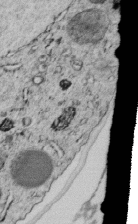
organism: C. elegans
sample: C. elegans embryo early stage